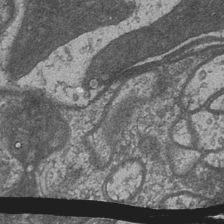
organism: Drosophila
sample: Optic medulla